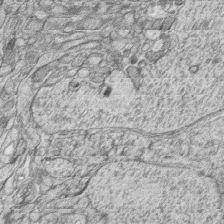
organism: Zebrafish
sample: synaptic ribbons in rod cells and cone cells